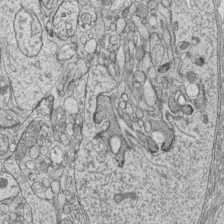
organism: Zebrafish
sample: synaptic ribbons in rod cells and cone cells